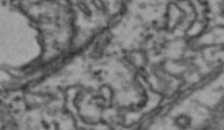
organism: Drosophila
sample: Brain